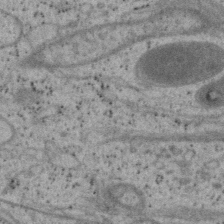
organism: Human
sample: HeLa cells